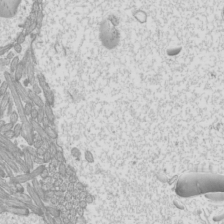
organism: Mouse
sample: Cilia; mouse epididymis